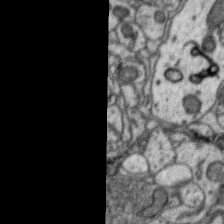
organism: Zebra finch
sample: Brain